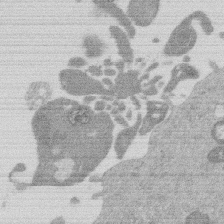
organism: Mouse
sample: Dividing mouse embryo 1 cell stage